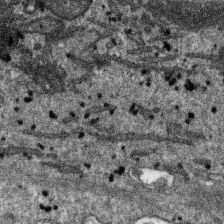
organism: Human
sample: Lung epithelial cells infected with SARS-CoV-2